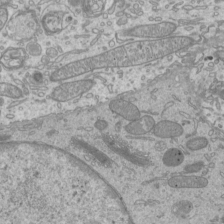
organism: Mouse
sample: Cilia; mouse epididymis